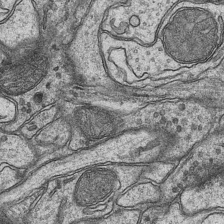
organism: Mouse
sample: CA1 Hippocampus